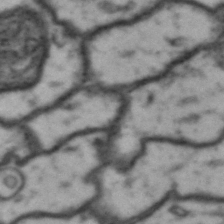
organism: Drosophila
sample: Brain